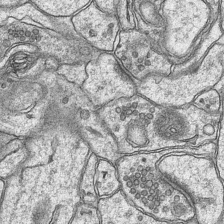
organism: Mouse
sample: CA1 Hippocampus